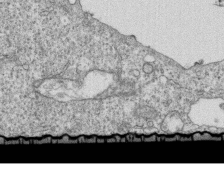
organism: Human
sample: HeLa cell HIV synapse